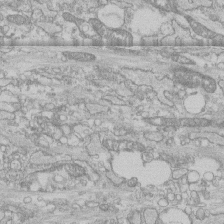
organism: Human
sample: CRL-1474